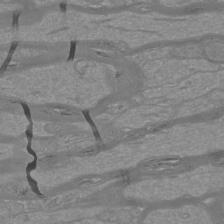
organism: Mouse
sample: Cortical neurons